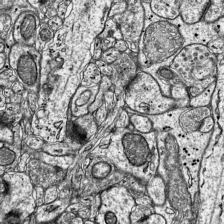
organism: Mouse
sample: Visual Cortex